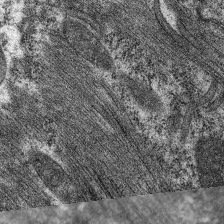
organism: C. elegans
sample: Pharynx